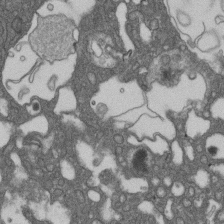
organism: Drosophila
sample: Nephrocyte